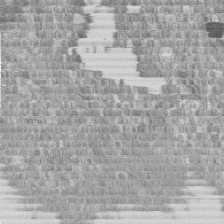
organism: Human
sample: Centriole in fibroblast cells